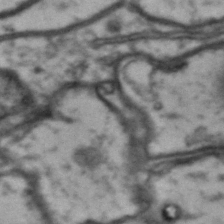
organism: Drosophila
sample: Brain